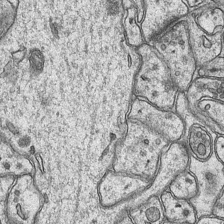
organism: Mouse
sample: CA1 Hippocampus